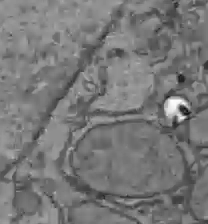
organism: C57BL Mouse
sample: Liver